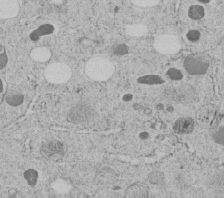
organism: C. elegans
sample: C. elegans embryo early stage